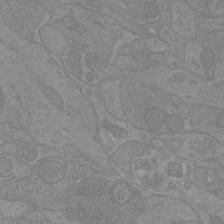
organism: Mouse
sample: Cortical neurons